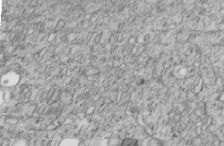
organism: C. elegans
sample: C. elegans embryo early stage